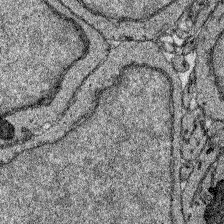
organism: Zebrafish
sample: Larval olfactory bulb